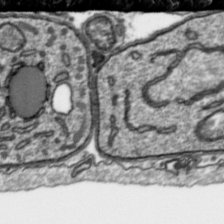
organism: Toxoplasma gondii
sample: Parasites in a vacuole inside a host cell